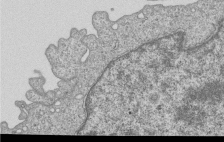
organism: Human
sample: MDA-MB-231 cells